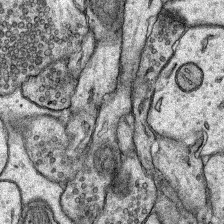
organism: Rat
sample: Hippocampus